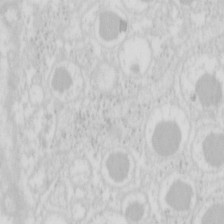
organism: Mouse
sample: Pancreas